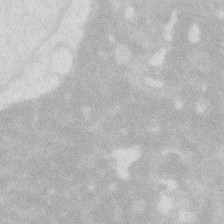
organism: Zebrafish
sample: Macrophage